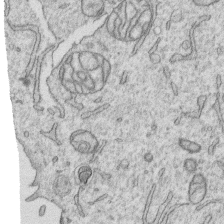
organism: Human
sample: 1205lu cells